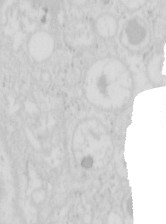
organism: Mouse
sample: Pancreas